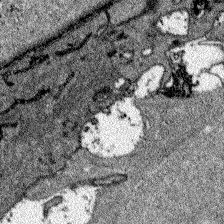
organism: Zebrafish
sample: Larval olfactory bulb